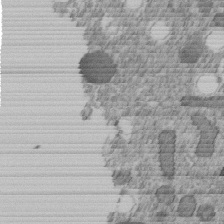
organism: C. elegans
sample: C. elegans embryo early stage